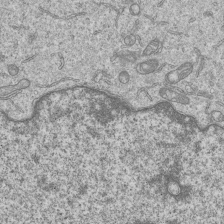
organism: Human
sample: MDA-MB-231 cells